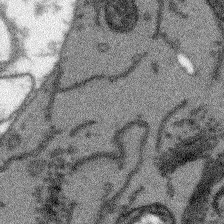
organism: Arabidopsis thaliana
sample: Root tip